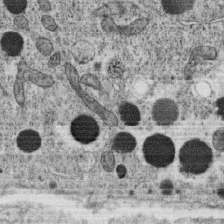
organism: C. elegans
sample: C. elegans oocyte; sperm cells